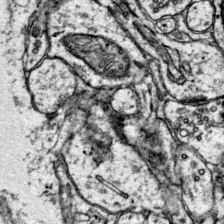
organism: Mouse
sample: Primary visual cortex